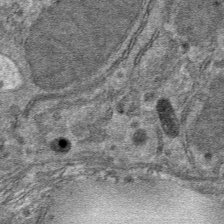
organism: Mouse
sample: Mouse hepatocytes